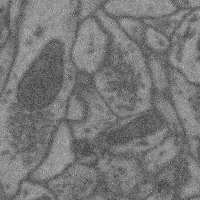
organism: Mouse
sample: Cerebral cortex